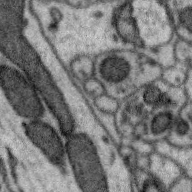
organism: Zebra finch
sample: Brain